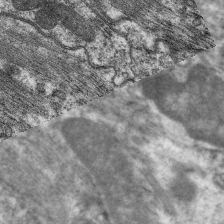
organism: C. elegans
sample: Pharynx